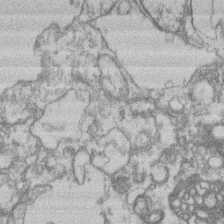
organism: Mouse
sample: T cell stromal cell synapse